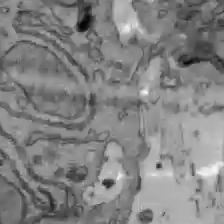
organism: C57BL Mouse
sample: Liver